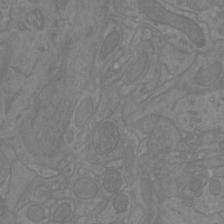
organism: Mouse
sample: Cortical neurons